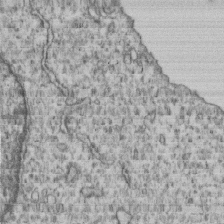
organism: Human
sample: MDA-MB-231 cells